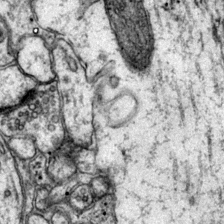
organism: Mouse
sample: Primary visual cortex